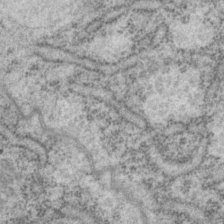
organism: P. pacificus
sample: Pharynx